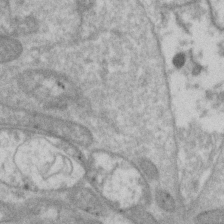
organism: Drosophila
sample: Cell division; meiosis; drosophila spermatocytes